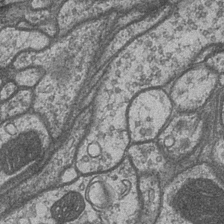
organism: Drosophila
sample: Optic medulla